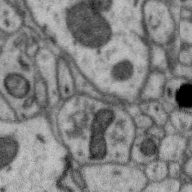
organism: Zebra finch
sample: Brain